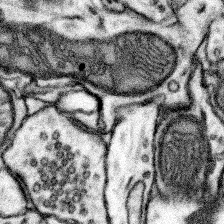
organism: Mouse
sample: Somatosensory cortex neuropil